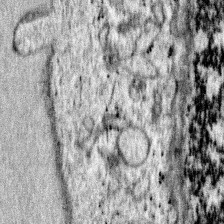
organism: Human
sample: HeLa cells